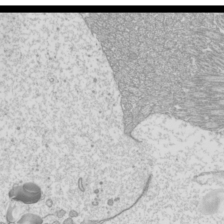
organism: Mouse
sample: Cilia; mouse epididymis